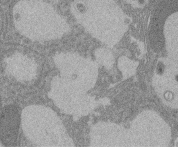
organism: Rat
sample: Salivary granule